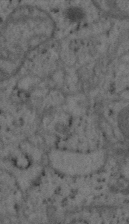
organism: Human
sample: HeLa cells